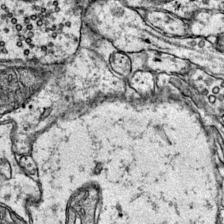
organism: Mouse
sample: Primary visual cortex